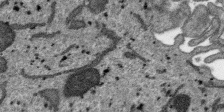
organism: Human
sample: Lung epithelial cells, uninfected (mock) control